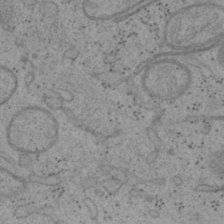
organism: Human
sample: HeLa cells